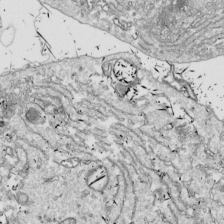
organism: Drosophila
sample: Cell division; meiosis; drosophila spermatocytes